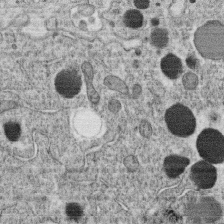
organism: C. elegans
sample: C. elegans oocyte; sperm cells